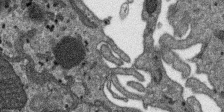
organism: Human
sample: Lung epithelial cells infected with SARS-CoV-2